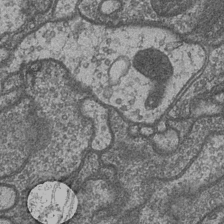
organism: Drosophila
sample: Optic medulla